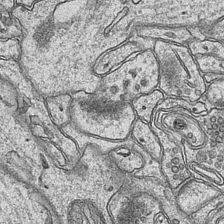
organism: Mouse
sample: CA1 Hippocampus